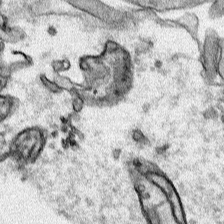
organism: Human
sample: Mitochondria in HCT116 cells